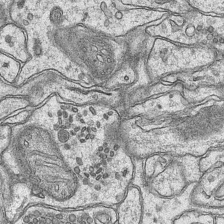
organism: Mouse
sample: CA1 Hippocampus